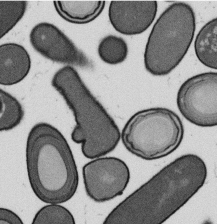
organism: B. subtilis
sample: Bacterial spore